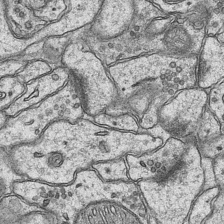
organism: Mouse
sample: CA1 Hippocampus